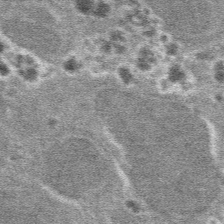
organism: Mouse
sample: Mouse hepatocytes